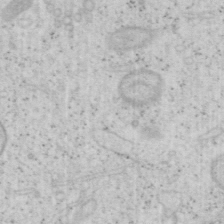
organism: Human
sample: HeLa cells